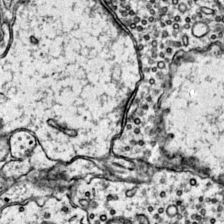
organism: Mouse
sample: Primary visual cortex